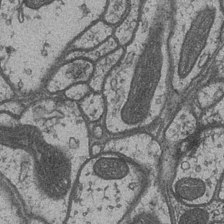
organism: Drosophila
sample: Optic medulla